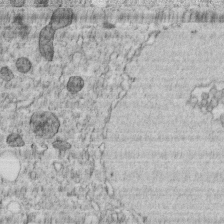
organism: C. elegans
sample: C. elegans embryo early stage